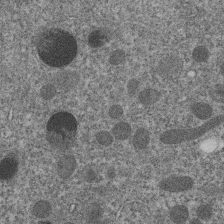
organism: C. elegans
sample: C. elegans embryo early stage